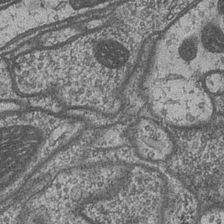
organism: Drosophila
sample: Optic medulla